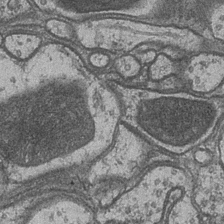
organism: Drosophila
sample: Optic medulla